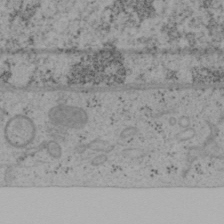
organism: Human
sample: HeLa cells